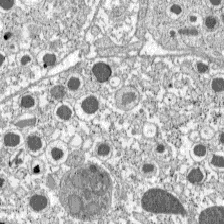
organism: C57BL Mouse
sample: Pancreatic islet